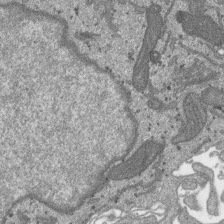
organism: Human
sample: Lung epithelial cells infected with SARS-CoV-2